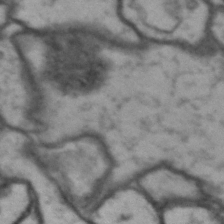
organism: Drosophila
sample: Brain